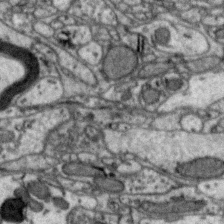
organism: Zebra finch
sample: Brain